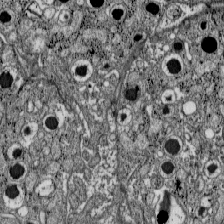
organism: C57BL Mouse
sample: Pancreatic islet